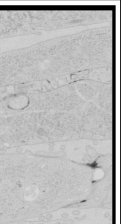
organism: Human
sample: Mitochondria in HCT116 cells